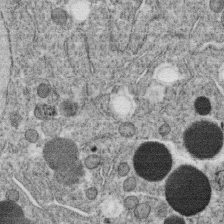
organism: C. elegans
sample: C. elegans oocyte; sperm cells